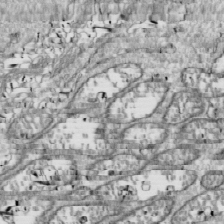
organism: Drosophila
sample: Cell division; meiosis; drosophila spermatocytes